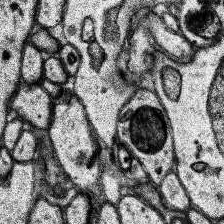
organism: Human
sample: Temporal Lobe